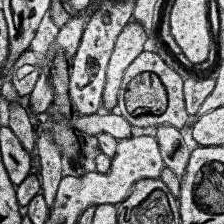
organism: Human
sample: Temporal Lobe